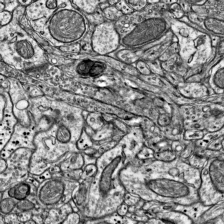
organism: Mouse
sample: Visual Cortex